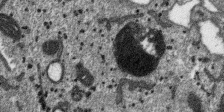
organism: Human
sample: Lung epithelial cells infected with SARS-CoV-2